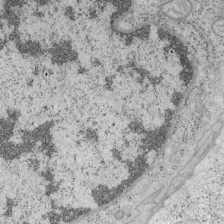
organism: Mouse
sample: OT-I killer T cells with ID8 ovarian cancer cells